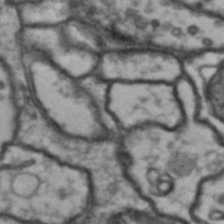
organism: Drosophila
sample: Brain